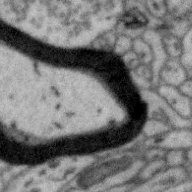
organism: Zebra finch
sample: Brain